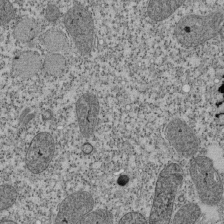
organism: Tetrahymena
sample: Cilia in tetrahymena